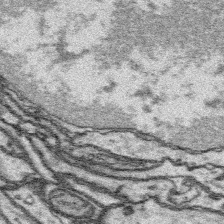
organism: Platynereis dumerilii